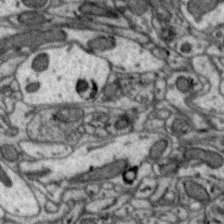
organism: Zebra finch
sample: Brain